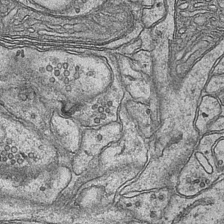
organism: Mouse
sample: CA1 Hippocampus